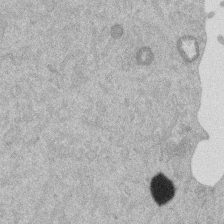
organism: Mouse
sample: Dividing mouse embryo 1 cell stage